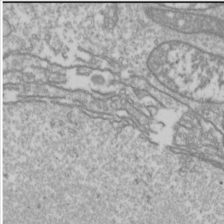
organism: Drosophila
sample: Cell division; meiosis; drosophila spermatocytes